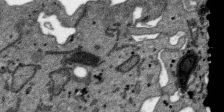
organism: Human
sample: Lung epithelial cells, uninfected (mock) control